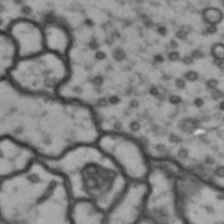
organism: Drosophila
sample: Brain